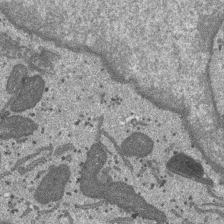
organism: Human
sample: Lung epithelial cells infected with SARS-CoV-2